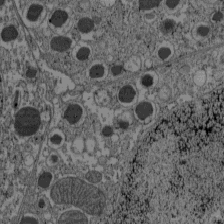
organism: C57BL Mouse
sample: Pancreatic islet